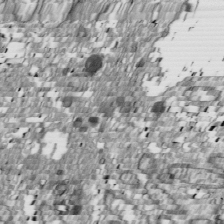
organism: Drosophila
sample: Cell division; meiosis; drosophila spermatocytes